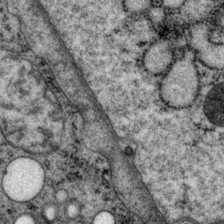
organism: P. pacificus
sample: Pharynx